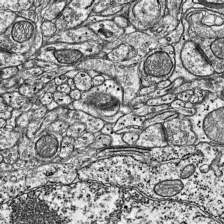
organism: Mouse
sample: Visual Cortex